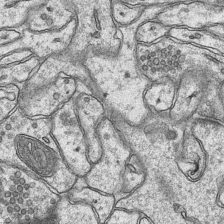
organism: Mouse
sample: CA1 Hippocampus